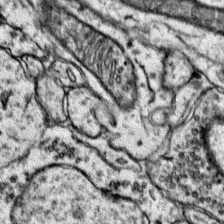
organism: Mouse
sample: Primary visual cortex